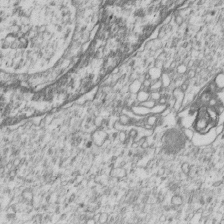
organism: Human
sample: MDA-MB-231 cells